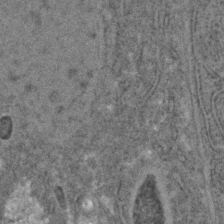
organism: C. elegans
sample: C. elegans embryo